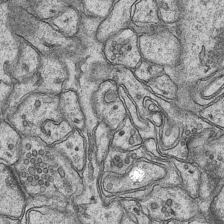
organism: Mouse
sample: CA1 Hippocampus